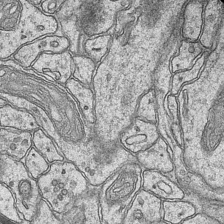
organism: Mouse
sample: CA1 Hippocampus